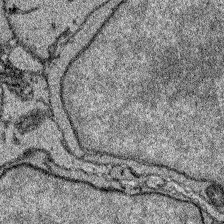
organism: Zebrafish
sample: Larval olfactory bulb